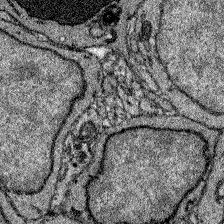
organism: Zebrafish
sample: Larval olfactory bulb